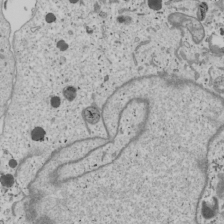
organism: Human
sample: Mitochondria in U2OS cells